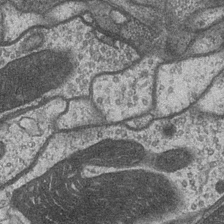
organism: Drosophila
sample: Optic medulla